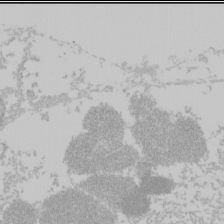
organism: Mouse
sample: Cancer cell death in ED-1 cells